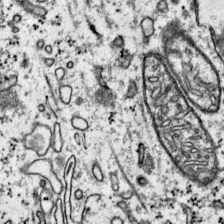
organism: Mouse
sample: Primary visual cortex